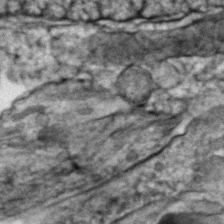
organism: Zebrafish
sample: Zebrafish embryo